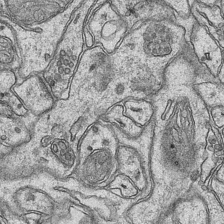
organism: Mouse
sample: CA1 Hippocampus